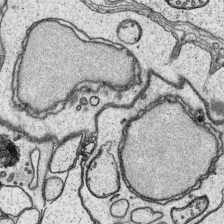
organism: Platynereis dumerilii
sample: Parapodia